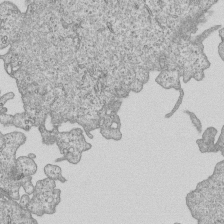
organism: Human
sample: MDA-MB-231 cells